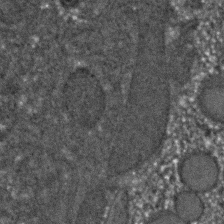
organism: C. elegans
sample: C. elegans embryo